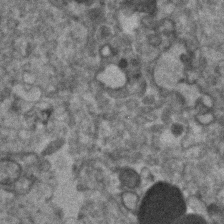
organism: Human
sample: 1205lu cells